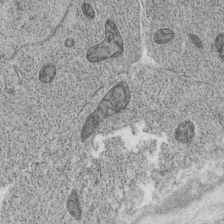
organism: C. elegans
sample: C. elegans oocyte; sperm cells